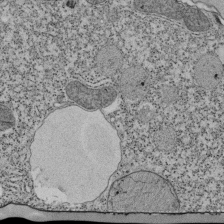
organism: Tetrahymena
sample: Cilia in tetrahymena